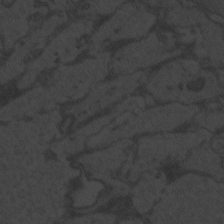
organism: Zebrafish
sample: Macrophage infected with Toxoplasma gondii